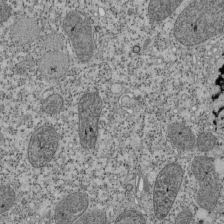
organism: Tetrahymena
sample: Cilia in tetrahymena